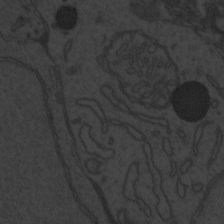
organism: Zebrafish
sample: Macrophage infected with Toxoplasma gondii